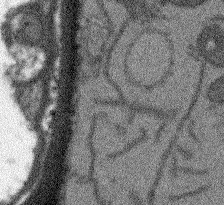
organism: Arabidopsis thaliana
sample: Root tip